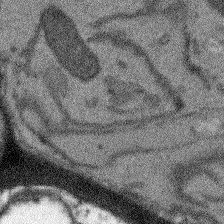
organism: Arabidopsis thaliana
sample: Root tip